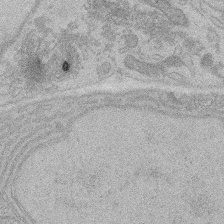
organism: Rat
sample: Salivary granule